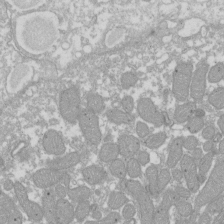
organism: Xenopus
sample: Cilia; centrioles in frog embryo cells